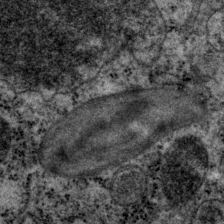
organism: P. pacificus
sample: Pharynx